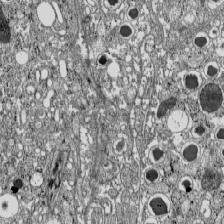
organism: C57BL Mouse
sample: Pancreatic islet